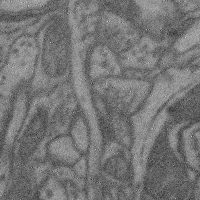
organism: Mouse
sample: Cerebral cortex